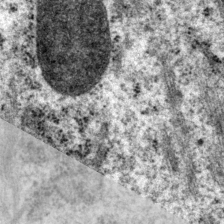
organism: P. pacificus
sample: Pharynx